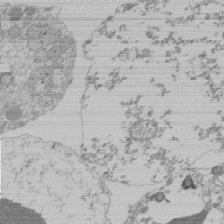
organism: Mouse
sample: Activated Pmel transgenic CD8+ T Cells